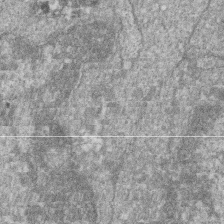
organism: Zebrafish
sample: Cilia; retinal pigment epithelium